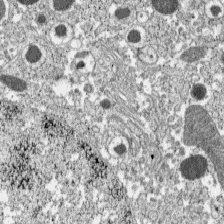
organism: C57BL Mouse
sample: Pancreatic islet